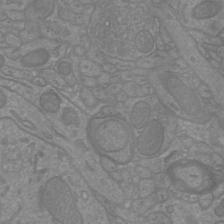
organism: Mouse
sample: Cortical neurons